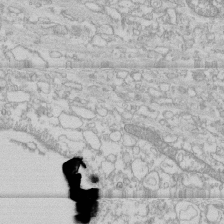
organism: Human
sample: CRL-1474